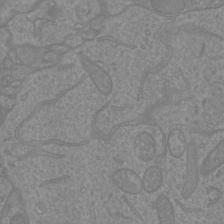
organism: Mouse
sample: Cortical neurons